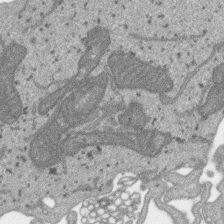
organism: Human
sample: Lung epithelial cells infected with SARS-CoV-2